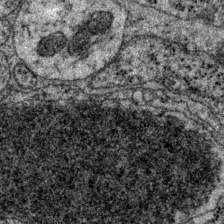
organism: P. pacificus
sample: Pharynx